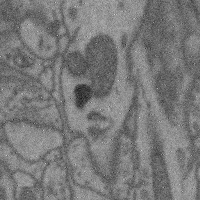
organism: Mouse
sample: Cerebral cortex